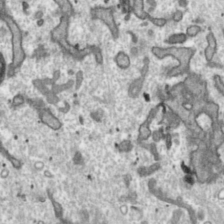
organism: Toxoplasma gondii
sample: Parasites in a vacuole inside a host cell